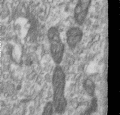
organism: Human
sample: Centriole in RPE cells